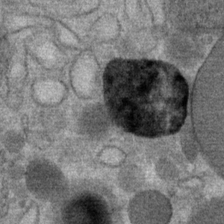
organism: Mouse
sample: Mouse Salivary gland